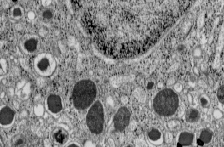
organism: C57BL Mouse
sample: Pancreatic islet